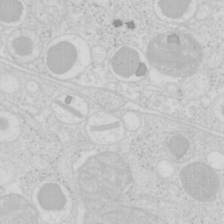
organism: Mouse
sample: Pancreas